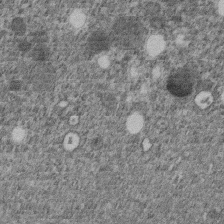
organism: C. elegans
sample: C. elegans embryo early stage